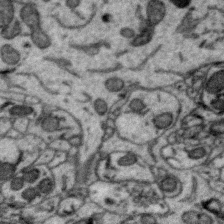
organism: Zebra finch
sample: Brain